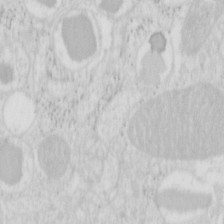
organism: Mouse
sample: Pancreas